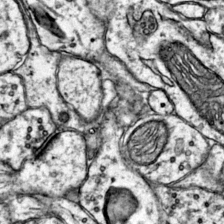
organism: Mouse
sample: Primary visual cortex